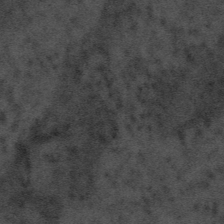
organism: Tuwongella immobilis